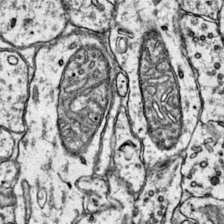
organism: Mouse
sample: Primary visual cortex